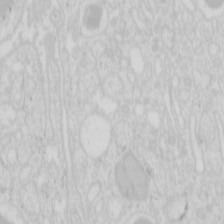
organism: Mouse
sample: Pancreas